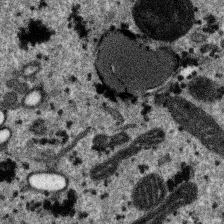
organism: Human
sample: Lung epithelial cells infected with SARS-CoV-2